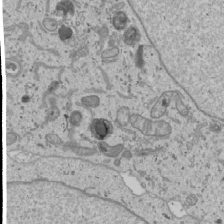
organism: Human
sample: Mitochondria in U2OS cells